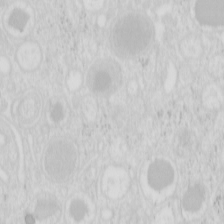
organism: Mouse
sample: Pancreas